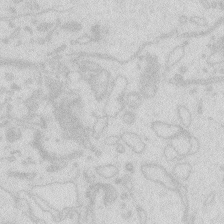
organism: Zebrafish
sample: Macrophage